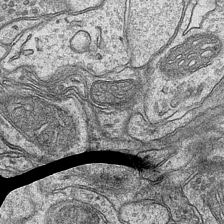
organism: Mouse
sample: CA1 Hippocampus